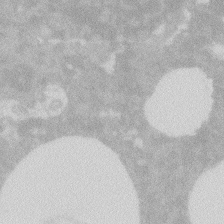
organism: Zebrafish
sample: Macrophage